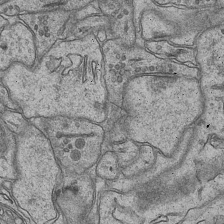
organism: Mouse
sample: CA1 Hippocampus